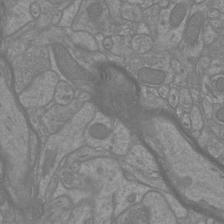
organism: Mouse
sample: Cortical neurons